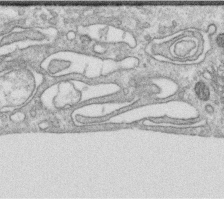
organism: Human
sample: Centriole in RPE cells